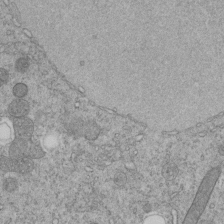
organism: C. elegans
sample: C. elegans embryo early stage